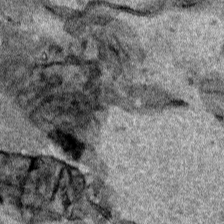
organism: Human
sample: Mitochondria in HCT116 cells